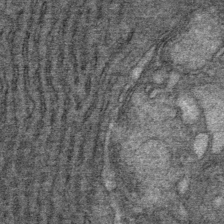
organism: Mouse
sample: Mouse Salivary gland